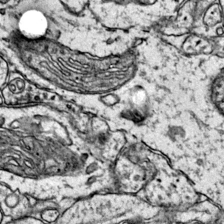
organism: Mouse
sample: Primary visual cortex